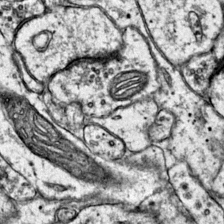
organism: Mouse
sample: Primary visual cortex